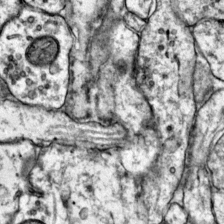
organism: Mouse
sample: Primary visual cortex